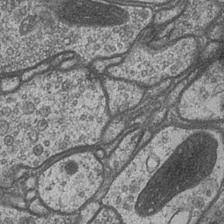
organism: Drosophila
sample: Optic medulla